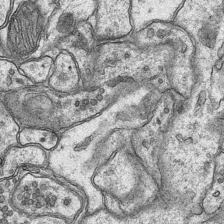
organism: Mouse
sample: CA1 Hippocampus